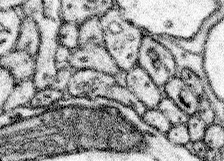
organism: Mouse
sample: Somatosensory cortex neuropil